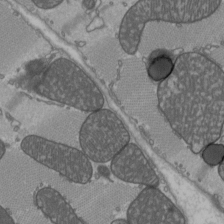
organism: C57BL Mouse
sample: Heart